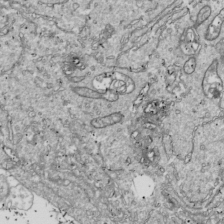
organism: Drosophila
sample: Cell division; meiosis; drosophila spermatocytes